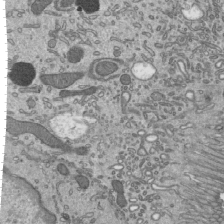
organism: Mouse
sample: Mouse epididymis efferent ductule cilia